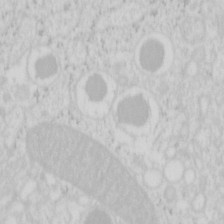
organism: Mouse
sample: Pancreas